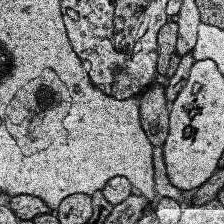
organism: Human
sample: Temporal Lobe